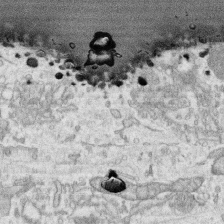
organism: Human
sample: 1205lu cells